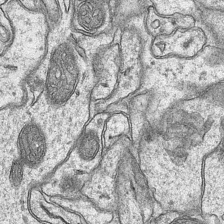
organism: Mouse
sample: CA1 Hippocampus